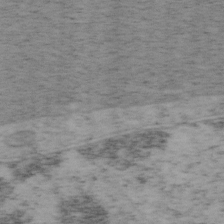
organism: Mouse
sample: OT-I killer T cells with ID8 ovarian cancer cells